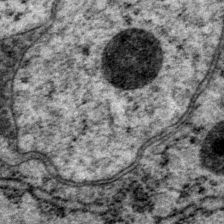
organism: P. pacificus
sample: Pharynx